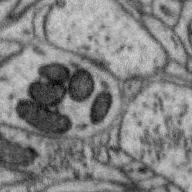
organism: Zebra finch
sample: Brain